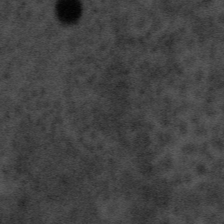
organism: Tuwongella immobilis